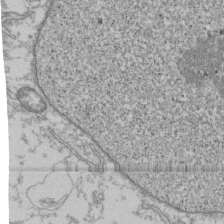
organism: Human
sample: Fibroblast cells